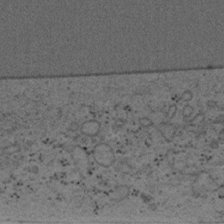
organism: Human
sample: HeLa cells